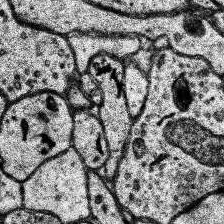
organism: Human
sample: Temporal Lobe